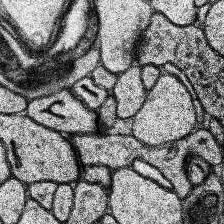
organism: Human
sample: Temporal Lobe